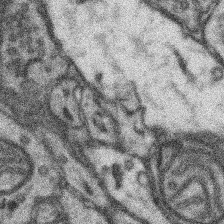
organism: Mouse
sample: Somatosensory cortex neuropil